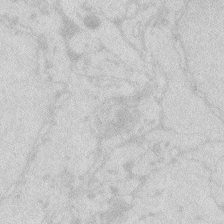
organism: Zebrafish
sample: Macrophage